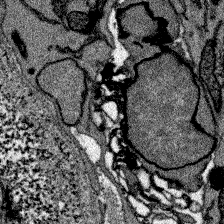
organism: Zebrafish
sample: Larval olfactory bulb